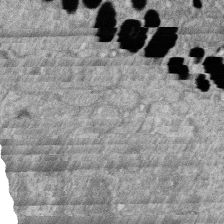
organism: Zebrafish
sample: Cilia; retinal pigment epithelium